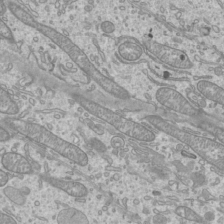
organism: Mouse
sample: Cilia; mouse epididymis